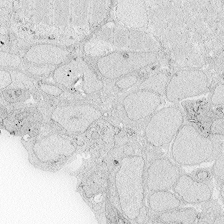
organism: Zebrafish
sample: Whole-Brain